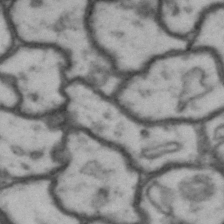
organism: Drosophila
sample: Brain